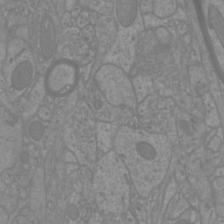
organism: Mouse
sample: Cortical neurons